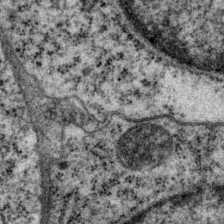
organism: P. pacificus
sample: Pharynx